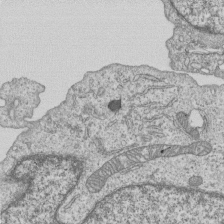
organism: Human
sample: MDA-MB-231 cells